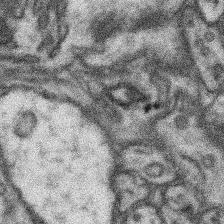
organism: Mouse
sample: Somatosensory cortex neuropil